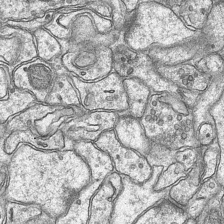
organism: Mouse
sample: CA1 Hippocampus